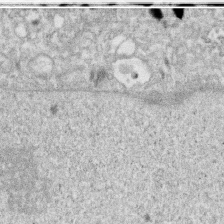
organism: Human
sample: HeLa cell HIV synapse